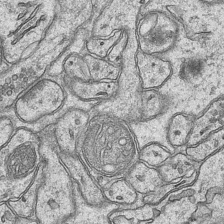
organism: Mouse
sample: CA1 Hippocampus